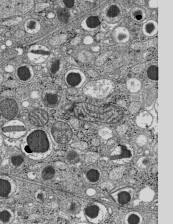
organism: C57BL Mouse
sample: Pancreatic islet